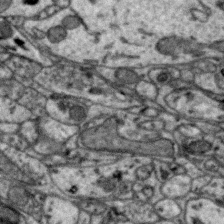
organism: Zebra finch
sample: Brain